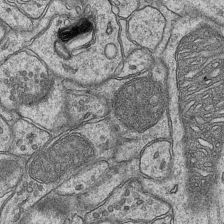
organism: Mouse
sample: CA1 Hippocampus